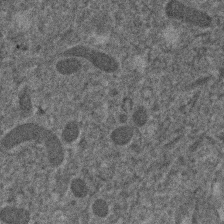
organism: Human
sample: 1205lu cells